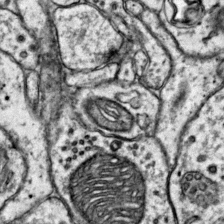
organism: Mouse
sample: Primary visual cortex